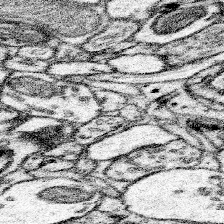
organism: Mouse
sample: Somatosensory cortex neuropil